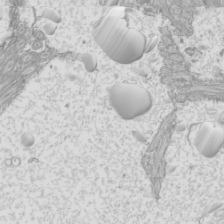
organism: Mouse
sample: Cilia; mouse epididymis